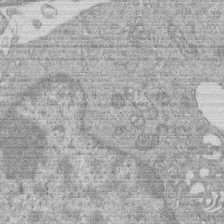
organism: Human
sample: Macrophage cells